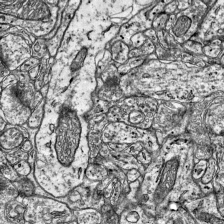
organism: Mouse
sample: Visual Cortex